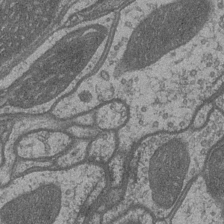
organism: Drosophila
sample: Optic medulla